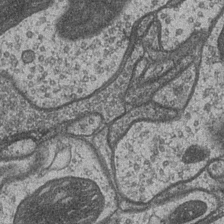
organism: Drosophila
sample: Optic medulla